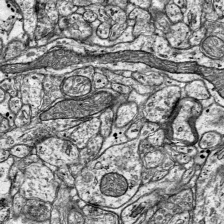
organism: Mouse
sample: Visual Cortex